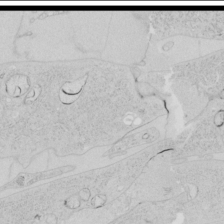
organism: Human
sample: Mitochondria in HCT116 cells